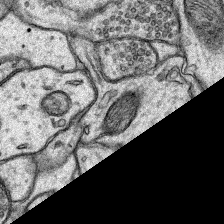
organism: Rat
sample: Hippocampus